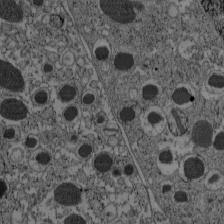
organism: C57BL Mouse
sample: Pancreatic islet